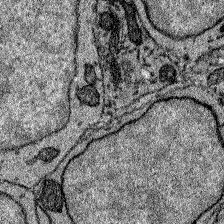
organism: Zebrafish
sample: Larval olfactory bulb